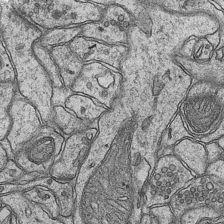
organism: Mouse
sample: CA1 Hippocampus